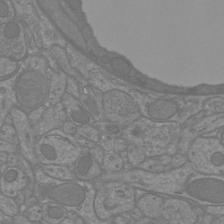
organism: Mouse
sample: Cortical neurons